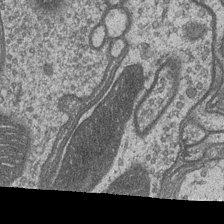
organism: Drosophila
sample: Optic medulla